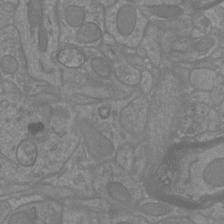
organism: Mouse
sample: Cortical neurons